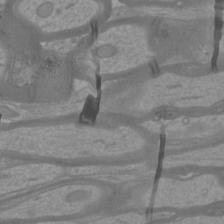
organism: Mouse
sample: Cortical neurons